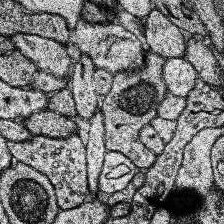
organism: Human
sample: Temporal Lobe